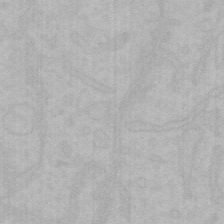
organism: Mouse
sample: Choroid plexus